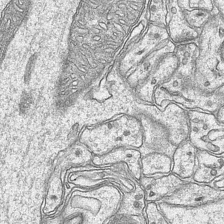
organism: Mouse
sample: CA1 Hippocampus